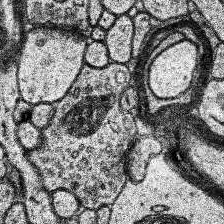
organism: Human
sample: Temporal Lobe